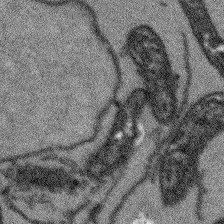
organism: Arabidopsis thaliana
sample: Root tip